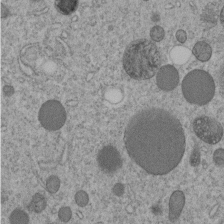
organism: C. elegans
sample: C. elegans embryo early stage